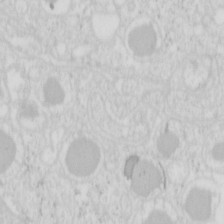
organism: Mouse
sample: Pancreas